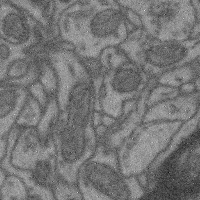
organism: Mouse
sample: Cerebral cortex